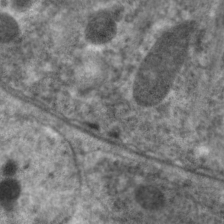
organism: C. elegans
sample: Pharynx